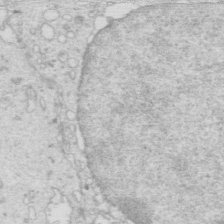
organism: Mouse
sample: Multiciliated cells